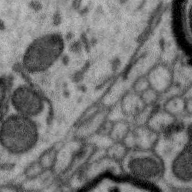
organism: Zebra finch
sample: Brain